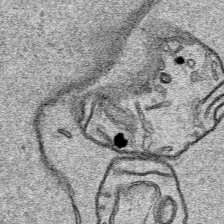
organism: Human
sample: Mitochondria in HCT116 cells